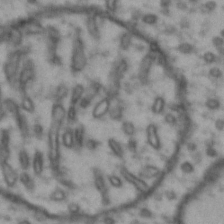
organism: Drosophila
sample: Brain